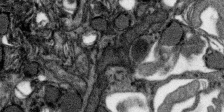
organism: Human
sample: Lung epithelial cells, uninfected (mock) control